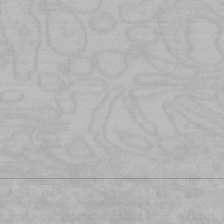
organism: Mouse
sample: Choroid plexus